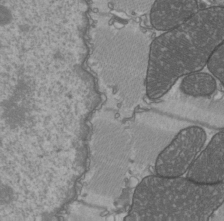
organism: C57BL Mouse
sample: Heart